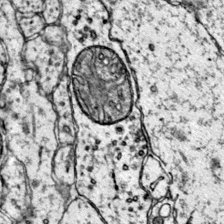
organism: Mouse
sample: Primary visual cortex